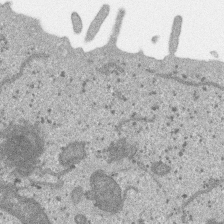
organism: Human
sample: Lung epithelial cells infected with SARS-CoV-2